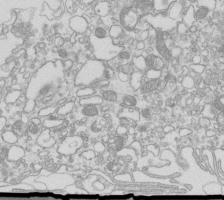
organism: Mouse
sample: Macrophages